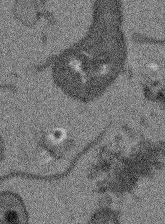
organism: Arabidopsis thaliana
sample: Root tip